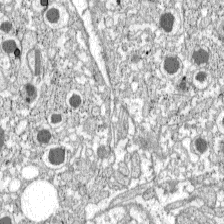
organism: C57BL Mouse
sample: Pancreatic islet